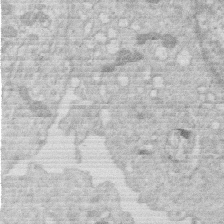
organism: Human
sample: Macrophage cells